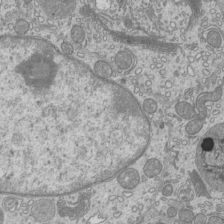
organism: Mouse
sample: Cilia; mouse epididymis